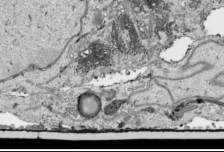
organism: Human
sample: Mitochondria in HCT116 cells